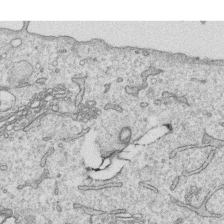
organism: Human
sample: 1205lu cells